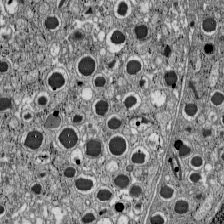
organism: C57BL Mouse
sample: Pancreatic islet